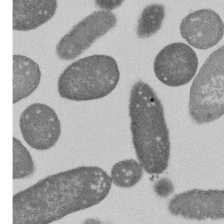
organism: E. coli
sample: Bacterial nucleoid